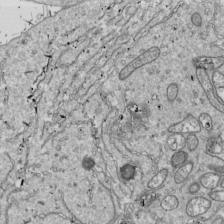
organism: Drosophila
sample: Cell division; meiosis; drosophila spermatocytes